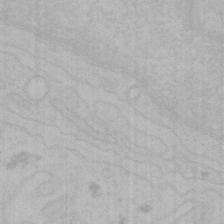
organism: Mouse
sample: Choroid plexus